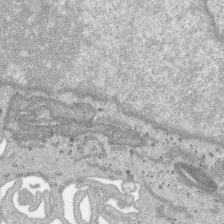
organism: Human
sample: Lung epithelial cells infected with SARS-CoV-2